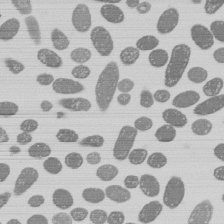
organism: E. coli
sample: Bacterial nucleoid